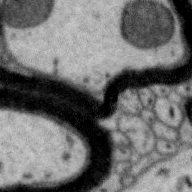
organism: Zebra finch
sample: Brain